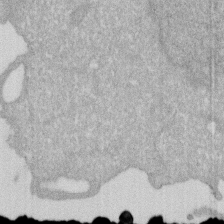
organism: Human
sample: HIV infected U937 cells